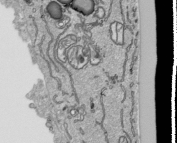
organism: Human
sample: Mitochondria in HCT116 cells